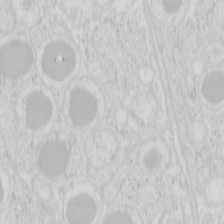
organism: Mouse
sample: Pancreas